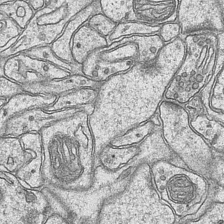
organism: Mouse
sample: CA1 Hippocampus